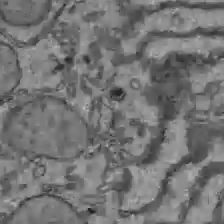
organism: C57BL Mouse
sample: Liver